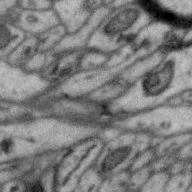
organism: Zebra finch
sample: Brain